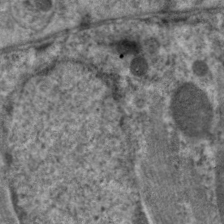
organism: C. elegans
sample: Pharynx